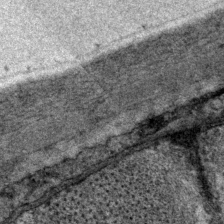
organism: P. pacificus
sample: Pharynx